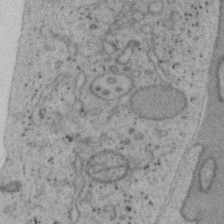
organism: Human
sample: HeLa cells